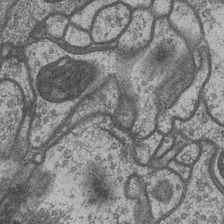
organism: Drosophila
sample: Optic medulla